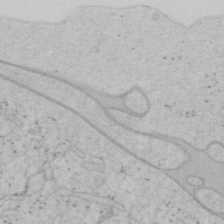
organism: Human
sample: HeLa cells